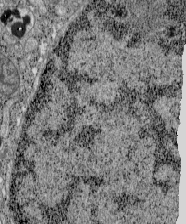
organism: C57BL Mouse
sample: Pancreatic islet